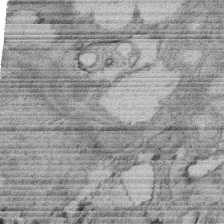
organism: Rat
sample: Salivary granule